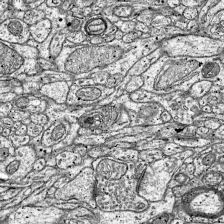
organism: Mouse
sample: Visual Cortex